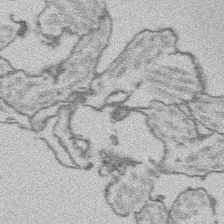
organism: Platynereis dumerilii